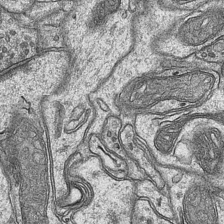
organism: Mouse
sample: CA1 Hippocampus